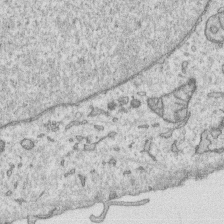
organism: Human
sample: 1205lu cells